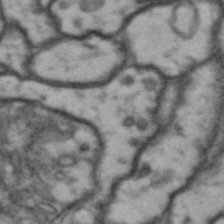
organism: Drosophila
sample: Brain